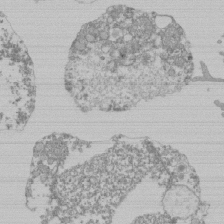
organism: Mouse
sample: Activated Pmel transgenic CD8+ T Cells